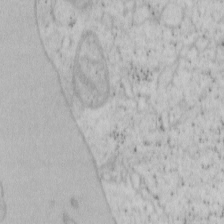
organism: Human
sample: HeLa cells